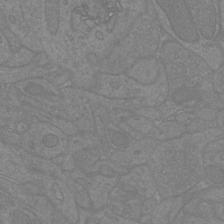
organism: Mouse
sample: Cortical neurons